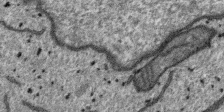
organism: Human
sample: Lung epithelial cells, uninfected (mock) control